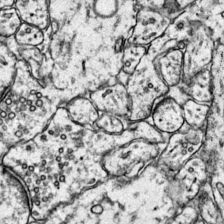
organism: Mouse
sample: Primary visual cortex